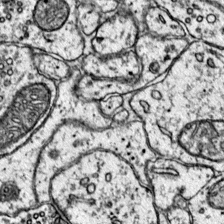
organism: Mouse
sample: Primary visual cortex